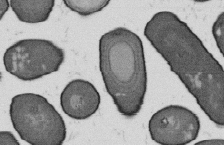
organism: B. subtilis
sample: Bacterial spore